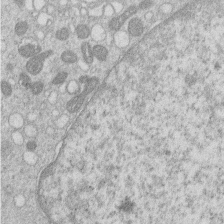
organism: Human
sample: Macrophage cells